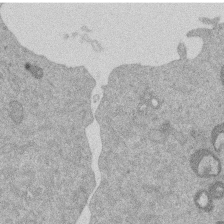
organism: Mouse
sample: Dividing mouse embryo 1 cell stage